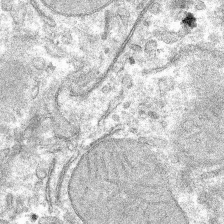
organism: Mouse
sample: Mouse hepatocytes